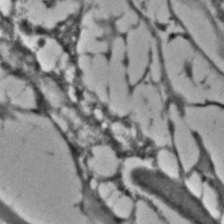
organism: C. elegans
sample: C. elegans embryo